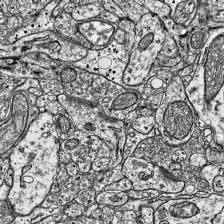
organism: Mouse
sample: Visual Cortex